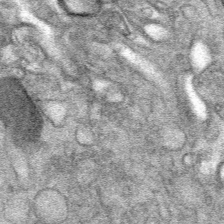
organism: Mouse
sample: Mouse Salivary gland